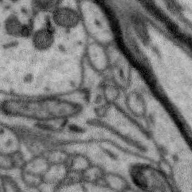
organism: Zebra finch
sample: Brain